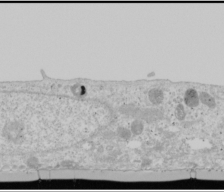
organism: Human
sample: Mitochondria in U2OS cells